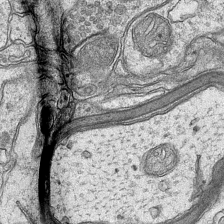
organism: Mouse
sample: CA1 Hippocampus